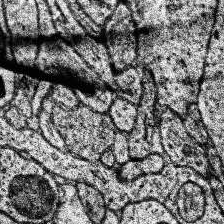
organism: Human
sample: Temporal Lobe